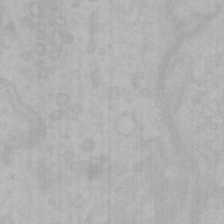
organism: Mouse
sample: Choroid plexus